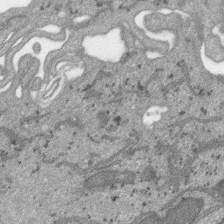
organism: Human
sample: Lung epithelial cells infected with SARS-CoV-2